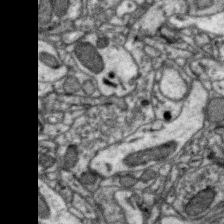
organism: Zebra finch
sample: Brain